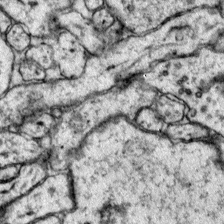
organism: Mouse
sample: Primary visual cortex